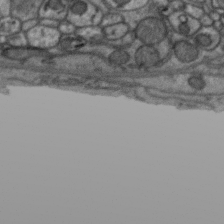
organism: Zebra finch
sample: Brain